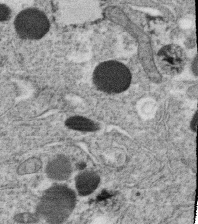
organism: C. elegans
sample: C. elegans oocyte; sperm cells